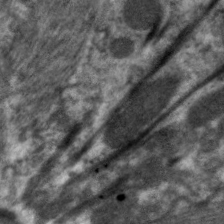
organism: C. elegans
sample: Pharynx